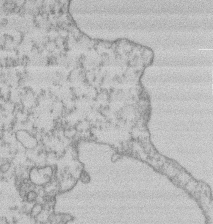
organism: Mouse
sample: T cell stromal cell synapse